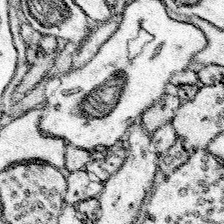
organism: Mouse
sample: Somatosensory cortex neuropil